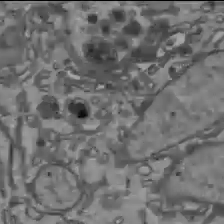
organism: C57BL Mouse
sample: Liver